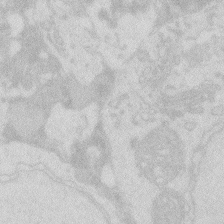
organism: Zebrafish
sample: Macrophage